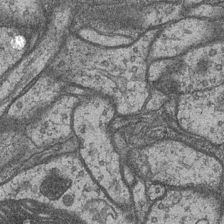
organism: Drosophila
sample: Optic medulla